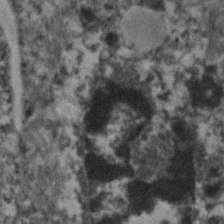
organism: Human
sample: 1205lu cells